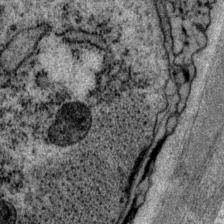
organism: P. pacificus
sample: Pharynx